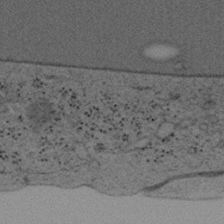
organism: Human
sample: HeLa cells